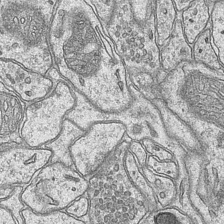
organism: Mouse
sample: CA1 Hippocampus